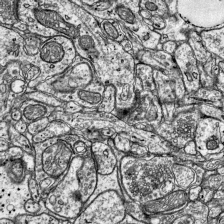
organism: Mouse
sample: Visual Cortex